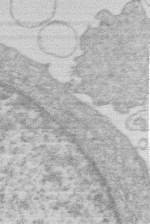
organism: Human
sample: Macrophage cells